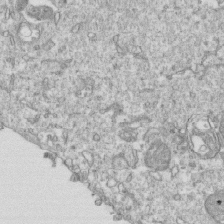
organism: Mouse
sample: Activated OT-1 CD8+ T cells